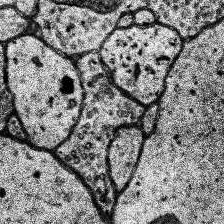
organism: Human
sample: Temporal Lobe